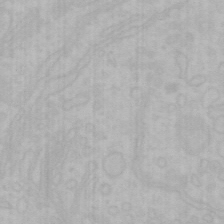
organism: Mouse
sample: Choroid plexus